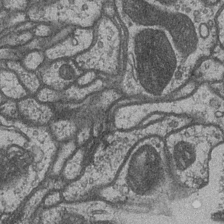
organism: Drosophila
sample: Optic medulla